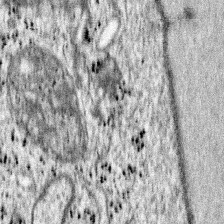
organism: Human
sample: HeLa cells